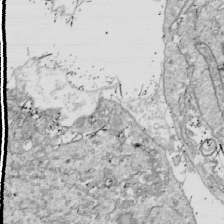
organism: Drosophila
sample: Cell division; meiosis; drosophila spermatocytes